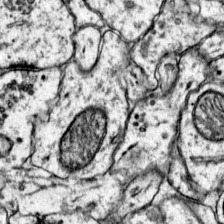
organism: Mouse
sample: Primary visual cortex